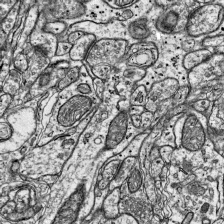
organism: Mouse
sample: Visual Cortex